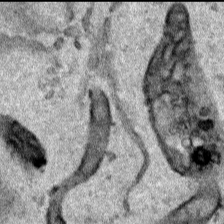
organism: Human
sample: Mitochondria in HCT116 cells